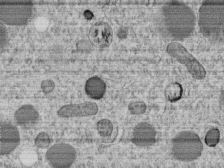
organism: C. elegans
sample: C. elegans embryo early stage